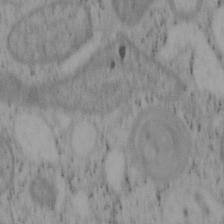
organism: Mouse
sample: OT-I killer T cells with ID8 ovarian cancer cells